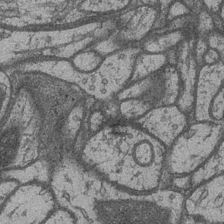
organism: Drosophila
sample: Optic medulla